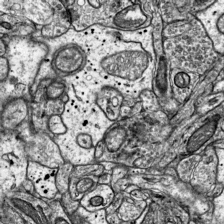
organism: Mouse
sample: Visual Cortex